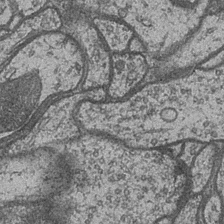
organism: Drosophila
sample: Optic medulla